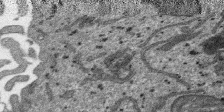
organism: Human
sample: Lung epithelial cells infected with SARS-CoV-2